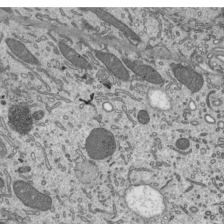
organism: Mouse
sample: Mouse epididymis efferent ductule cilia